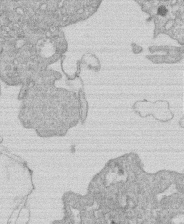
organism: Human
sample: Macrophage cells